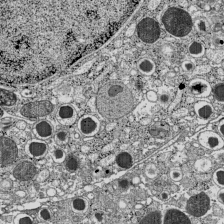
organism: C57BL Mouse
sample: Pancreatic islet